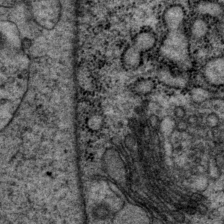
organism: P. pacificus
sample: Pharynx